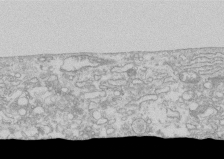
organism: Human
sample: CRL-1474